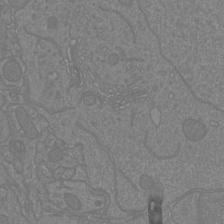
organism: Mouse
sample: Cortical neurons